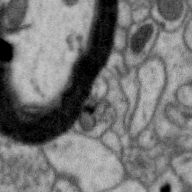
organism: Zebra finch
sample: Brain